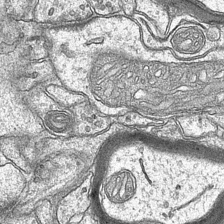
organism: Mouse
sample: CA1 Hippocampus